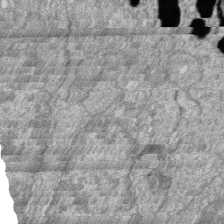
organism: Zebrafish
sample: Cilia; retinal pigment epithelium